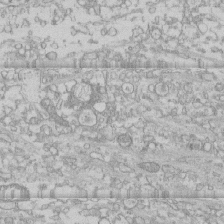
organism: Human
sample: CRL-1474